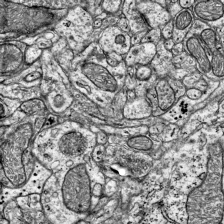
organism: Mouse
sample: Visual Cortex